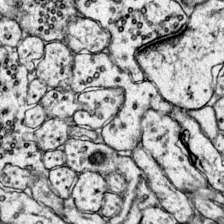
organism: Mouse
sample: Primary visual cortex